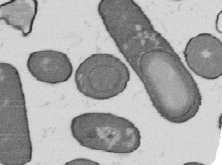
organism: B. subtilis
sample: Bacterial spore